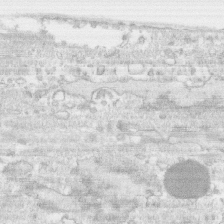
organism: Human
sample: CRL-1474